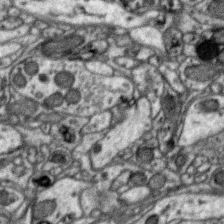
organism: Zebra finch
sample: Brain